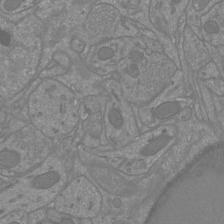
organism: Mouse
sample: Cortical neurons